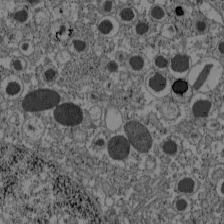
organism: C57BL Mouse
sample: Pancreatic islet